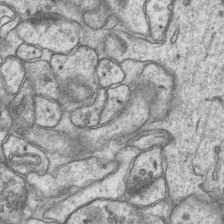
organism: Mouse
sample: CA1 Hippocampus